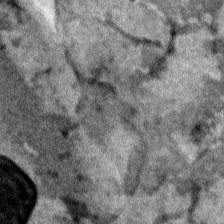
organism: Human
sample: Mitochondria in HCT116 cells